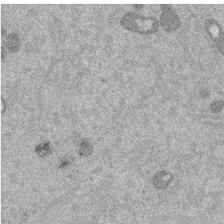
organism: Mouse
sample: Dividing mouse embryo 1 cell stage